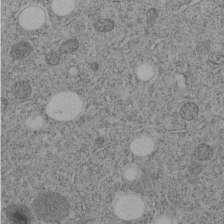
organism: C. elegans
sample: C. elegans embryo early stage